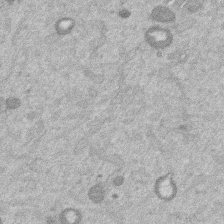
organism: Mouse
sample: Dividing mouse embryo 1 cell stage